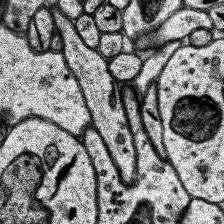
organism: Human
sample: Temporal Lobe